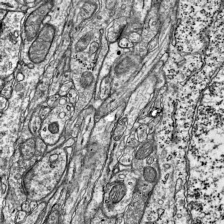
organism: Mouse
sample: Visual Cortex